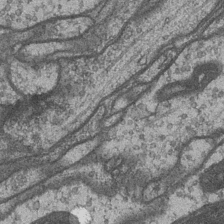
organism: Drosophila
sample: Optic medulla